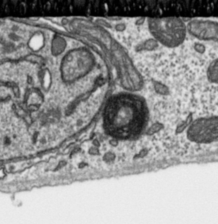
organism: Toxoplasma gondii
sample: Parasites in a vacuole inside a host cell